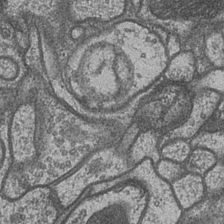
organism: Drosophila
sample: Optic medulla